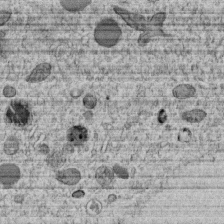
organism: C. elegans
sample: C. elegans embryo early stage